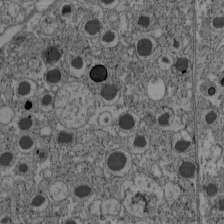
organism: C57BL Mouse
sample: Pancreatic islet